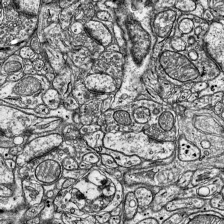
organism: Mouse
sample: Visual Cortex